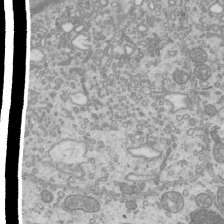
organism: Mouse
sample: Cilia; mouse epididymis